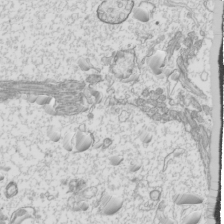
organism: Mouse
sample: Cilia; mouse epididymis